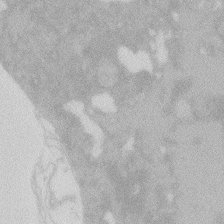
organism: Zebrafish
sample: Macrophage